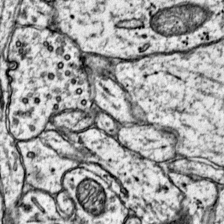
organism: Mouse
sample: Primary visual cortex